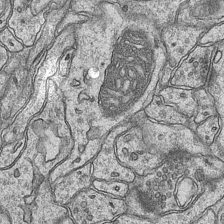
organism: Mouse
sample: CA1 Hippocampus